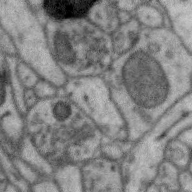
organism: Zebra finch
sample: Brain